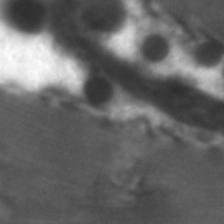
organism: C. elegans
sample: Pharynx